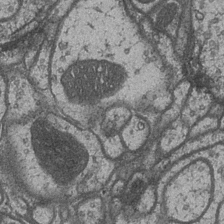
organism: Drosophila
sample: Optic medulla